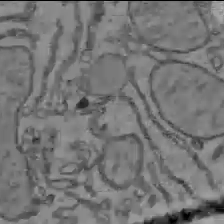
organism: C57BL Mouse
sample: Liver